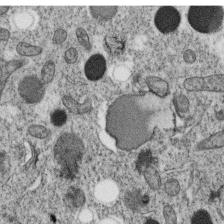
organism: C. elegans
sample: C. elegans oocyte; sperm cells